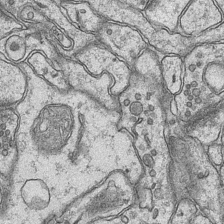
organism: Mouse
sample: CA1 Hippocampus